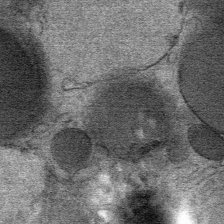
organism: Mouse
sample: Mouse Salivary gland